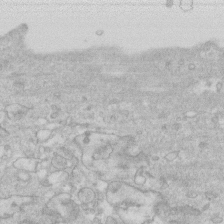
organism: Human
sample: Fibroblast cells